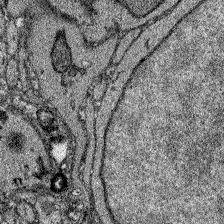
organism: Zebrafish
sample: Larval olfactory bulb